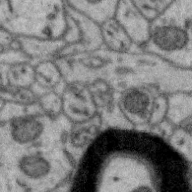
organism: Zebra finch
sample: Brain